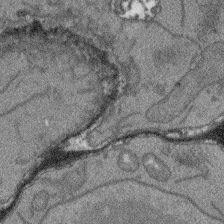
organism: Arabidopsis thaliana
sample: Root tip